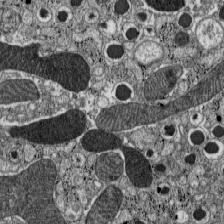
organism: C57BL Mouse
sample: Pancreatic islet